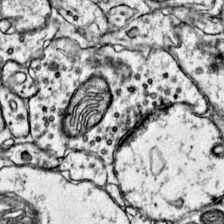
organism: Mouse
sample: Primary visual cortex